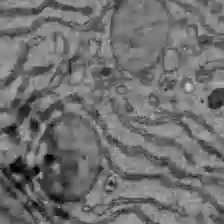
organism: C57BL Mouse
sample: Liver